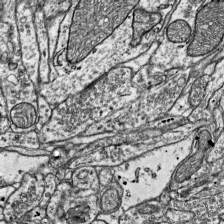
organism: Mouse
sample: Visual Cortex